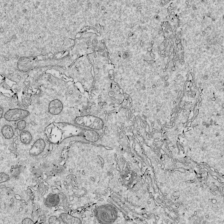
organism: Drosophila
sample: Cell division; meiosis; drosophila spermatocytes